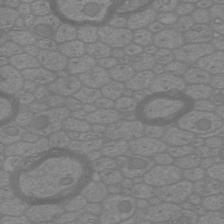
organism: Mouse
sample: Cortical neurons